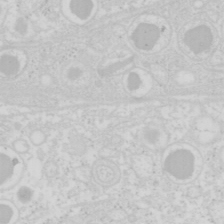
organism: Mouse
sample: Pancreas